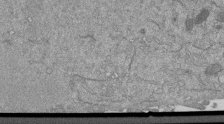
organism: Mouse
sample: ED-1 cell nuclei; centrioles